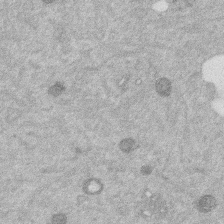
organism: Mouse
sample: Dividing mouse embryo 1 cell stage